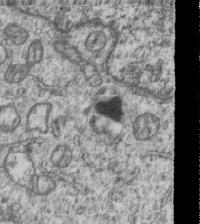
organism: Human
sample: MDA-MB-231 cells